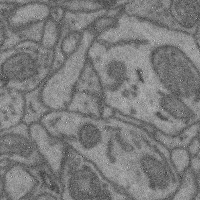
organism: Mouse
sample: Cerebral cortex